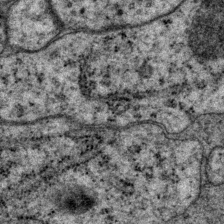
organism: P. pacificus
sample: Pharynx